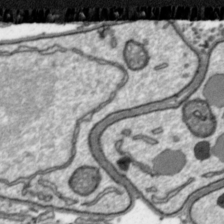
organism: Toxoplasma gondii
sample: Parasites in a vacuole inside a host cell